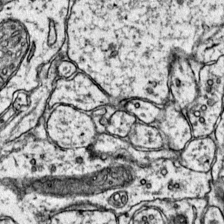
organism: Mouse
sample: Primary visual cortex